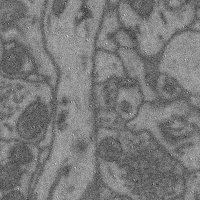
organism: Mouse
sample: Cerebral cortex